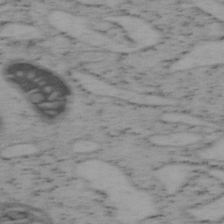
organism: Mouse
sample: OT-I killer T cells with ID8 ovarian cancer cells